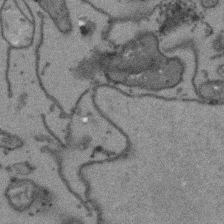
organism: Arabidopsis thaliana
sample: Root tip